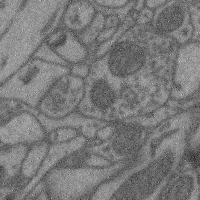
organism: Mouse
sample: Cerebral cortex